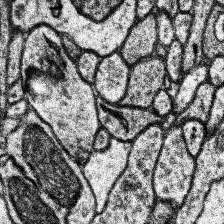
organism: Human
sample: Temporal Lobe